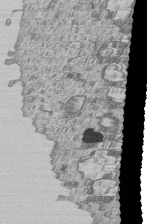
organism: Human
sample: MDA-MB-231 cells